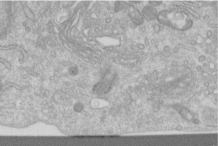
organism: Human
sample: Centriole in RPE cells